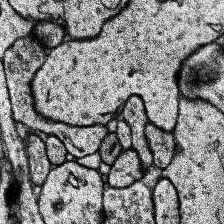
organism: Human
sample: Temporal Lobe